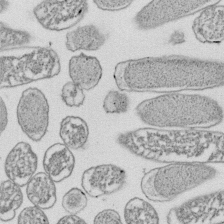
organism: E. coli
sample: Bacterial nucleoid